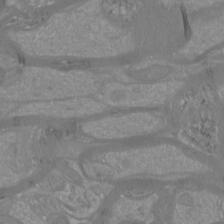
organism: Mouse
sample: Cortical neurons